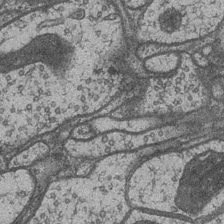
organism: Drosophila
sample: Optic medulla